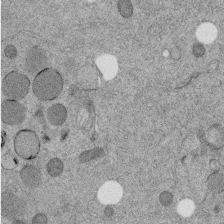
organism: C. elegans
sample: C. elegans embryo early stage